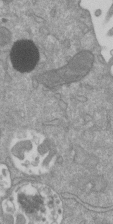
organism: Mouse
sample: ED-1 cell nuclei; centrioles